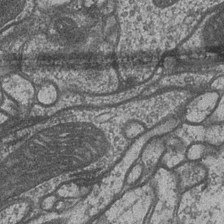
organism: Drosophila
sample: Optic medulla